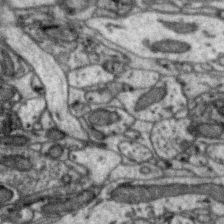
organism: Zebra finch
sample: Brain